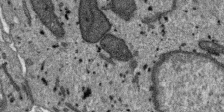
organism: Human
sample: Lung epithelial cells, uninfected (mock) control